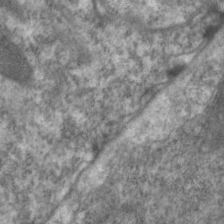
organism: C. elegans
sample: Pharynx